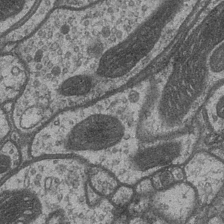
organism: Drosophila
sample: Optic medulla